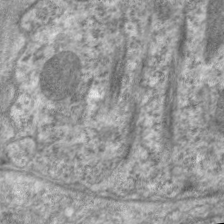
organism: C. elegans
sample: Pharynx